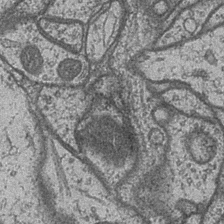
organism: Drosophila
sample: Optic medulla